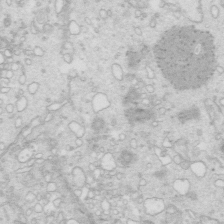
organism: Mouse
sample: Multiciliated cells